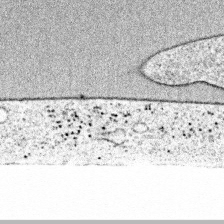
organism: Human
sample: HeLa cells